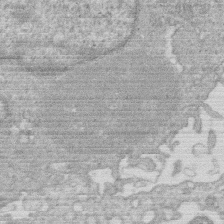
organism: Human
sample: Macrophage cells